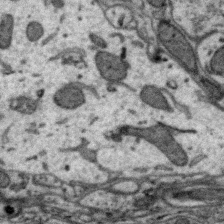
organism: Zebra finch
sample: Brain